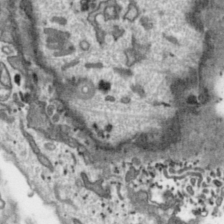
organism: Toxoplasma gondii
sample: Parasites in a vacuole inside a host cell